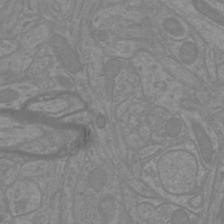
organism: Mouse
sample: Cortical neurons